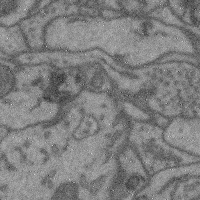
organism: Mouse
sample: Cerebral cortex